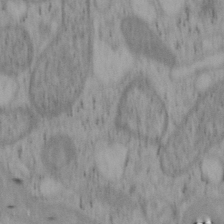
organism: Mouse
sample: OT-I killer T cells with ID8 ovarian cancer cells